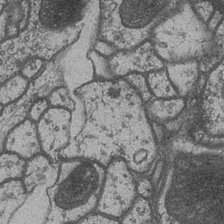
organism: Drosophila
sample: Optic medulla